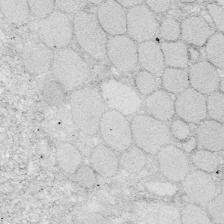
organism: Zebrafish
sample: Whole-Brain